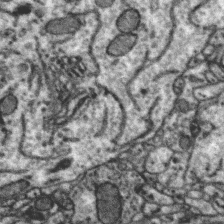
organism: Zebra finch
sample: Brain